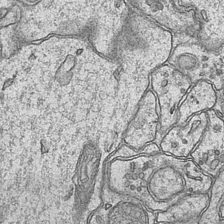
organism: Mouse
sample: CA1 Hippocampus